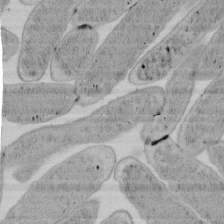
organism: E. coli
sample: Bacterial nucleoid